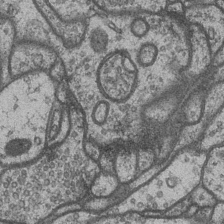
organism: Drosophila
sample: Optic medulla